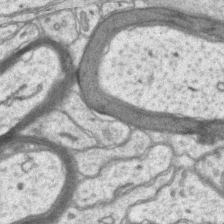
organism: Mouse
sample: CA1 Hippocampus